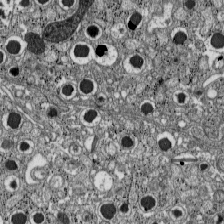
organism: C57BL Mouse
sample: Pancreatic islet